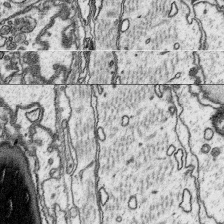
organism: Platynereis dumerilii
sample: Parapodia